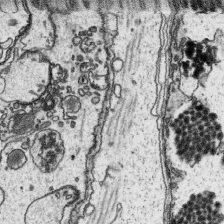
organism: Platynereis dumerilii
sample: Parapodia